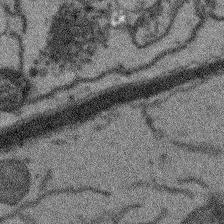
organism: Arabidopsis thaliana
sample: Root tip